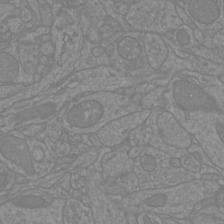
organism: Mouse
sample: Cortical neurons